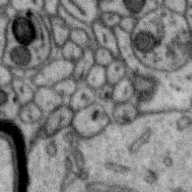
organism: Zebra finch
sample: Brain